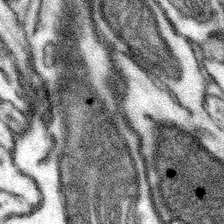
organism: Mouse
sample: Somatosensory cortex neuropil